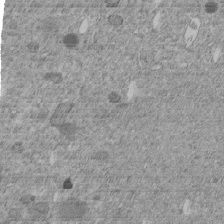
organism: C. elegans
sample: C. elegans embryo early stage